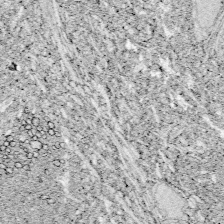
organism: Zebrafish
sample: Whole-Brain